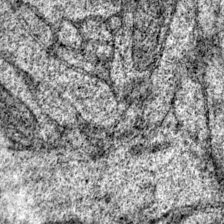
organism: Mouse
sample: Primary visual cortex